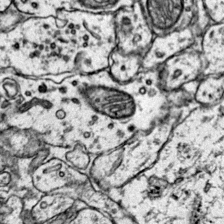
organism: Mouse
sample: Primary visual cortex